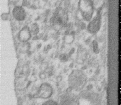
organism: Human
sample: Centriole in RPE cells